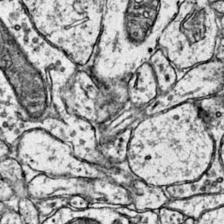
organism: Mouse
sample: Primary visual cortex